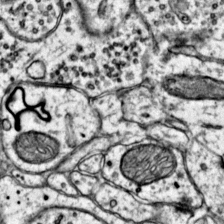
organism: Mouse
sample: Primary visual cortex